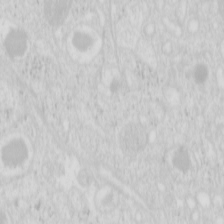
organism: Mouse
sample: Pancreas